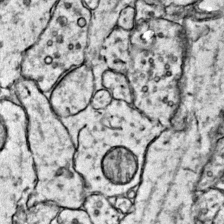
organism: Mouse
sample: Primary visual cortex